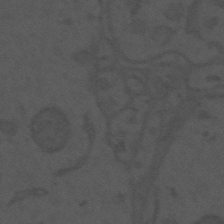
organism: Mouse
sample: Suprachiasmatic nucleus